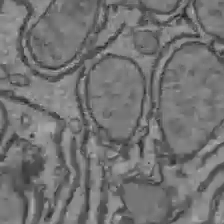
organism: C57BL Mouse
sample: Liver